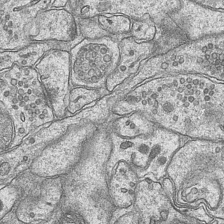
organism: Mouse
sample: CA1 Hippocampus